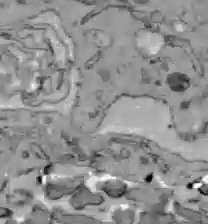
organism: C57BL Mouse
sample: Liver